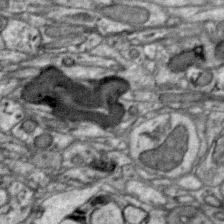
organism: Zebra finch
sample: Brain